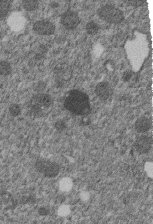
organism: C. elegans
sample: C. elegans embryo early stage